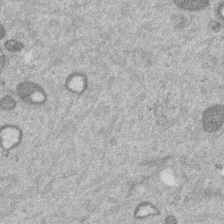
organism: Mouse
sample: Dividing mouse embryo 1 cell stage